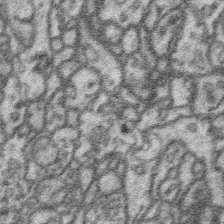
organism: Platynereis dumerilii